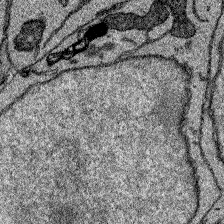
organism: Zebrafish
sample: Larval olfactory bulb